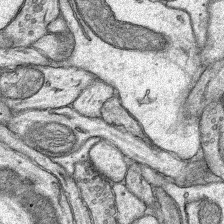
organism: Rat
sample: Hippocampus